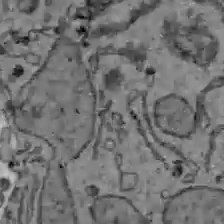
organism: C57BL Mouse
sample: Liver